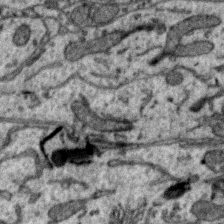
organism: Zebra finch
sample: Brain